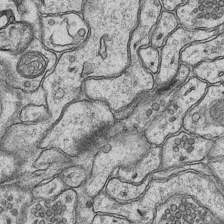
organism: Mouse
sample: CA1 Hippocampus